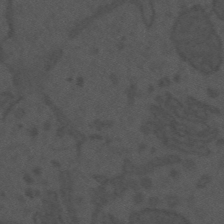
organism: Mouse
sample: Suprachiasmatic nucleus